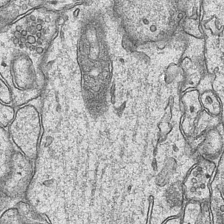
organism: Mouse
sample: CA1 Hippocampus